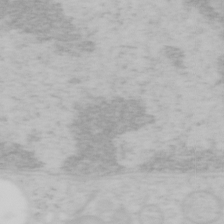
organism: Mouse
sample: OT-I killer T cells with ID8 ovarian cancer cells